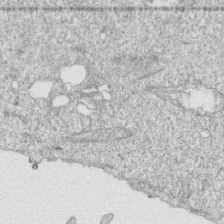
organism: Human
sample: HeLa cell HIV synapse